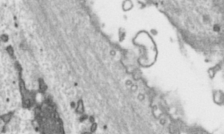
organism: Toxoplasma gondii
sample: Parasites in a vacuole inside a host cell